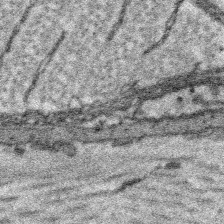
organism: Platynereis dumerilii